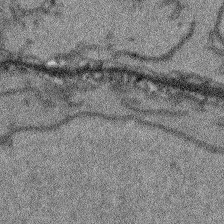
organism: Arabidopsis thaliana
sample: Root tip